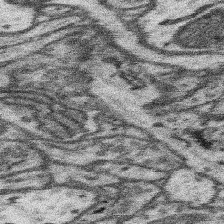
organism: Mouse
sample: Somatosensory cortex neuropil